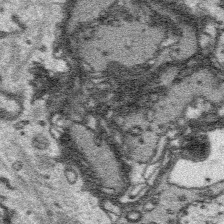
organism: Platynereis dumerilii